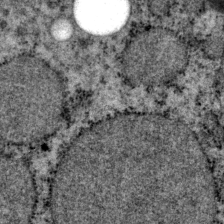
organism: P. pacificus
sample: Pharynx